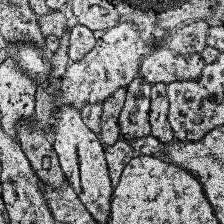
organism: Human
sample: Temporal Lobe